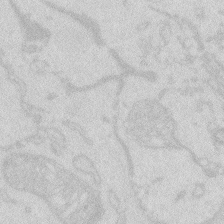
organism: Zebrafish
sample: Macrophage